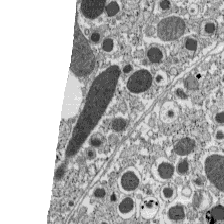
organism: C57BL Mouse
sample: Pancreatic islet